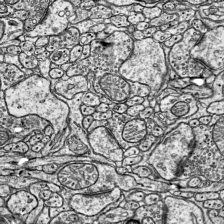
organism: Mouse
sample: Visual Cortex